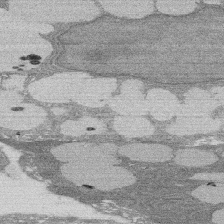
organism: Rat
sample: Salivary granule